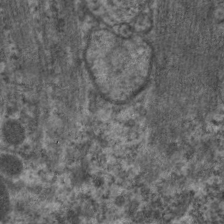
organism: C. elegans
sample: Pharynx